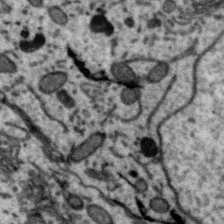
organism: Zebra finch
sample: Brain